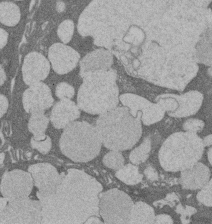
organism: Rat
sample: Salivary granule